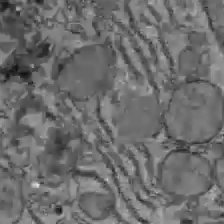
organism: C57BL Mouse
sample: Liver